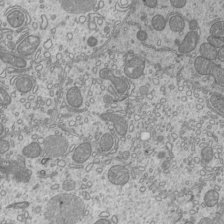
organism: Mouse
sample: Cilia; mouse epididymis